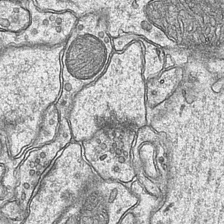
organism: Mouse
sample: CA1 Hippocampus